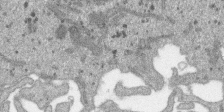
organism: Human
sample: Lung epithelial cells infected with SARS-CoV-2